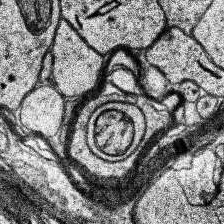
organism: Human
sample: Temporal Lobe